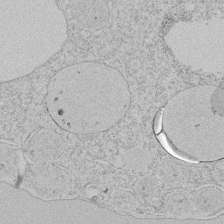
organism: Tetrahymena